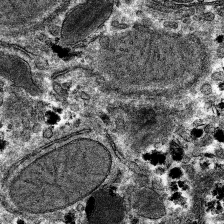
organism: Mouse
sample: Mouse hepatocytes